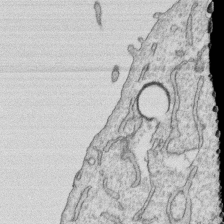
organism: Human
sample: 1205lu cells